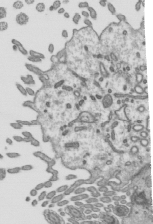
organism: Mouse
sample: Mouse epididymis efferent ductule cilia